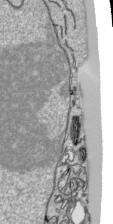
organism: Human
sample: Mitochondria in HCT116 cells